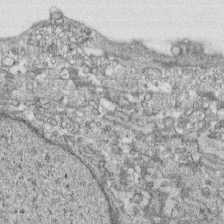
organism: Human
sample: CRL-1474